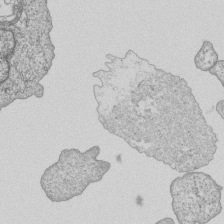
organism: Human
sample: MDA-MB-231 cells